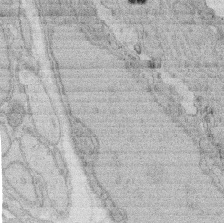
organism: Rat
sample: Salivary granule